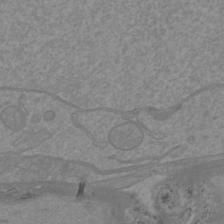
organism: Mouse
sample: Cortical neurons